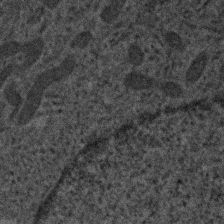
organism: Human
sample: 1205lu cells